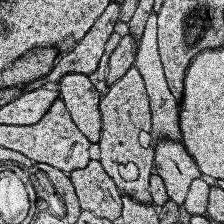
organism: Human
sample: Temporal Lobe